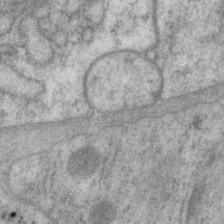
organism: P. pacificus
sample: Pharynx